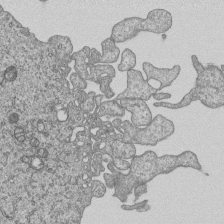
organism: Human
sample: MDA-MB-231 cells